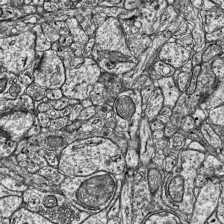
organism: Mouse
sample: Visual Cortex